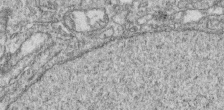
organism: Human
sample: HeLa cell HIV synapse